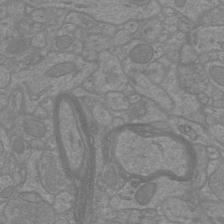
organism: Mouse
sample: Cortical neurons